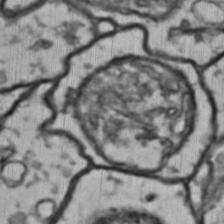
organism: Drosophila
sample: Brain